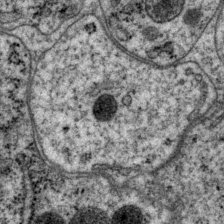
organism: P. pacificus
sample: Pharynx